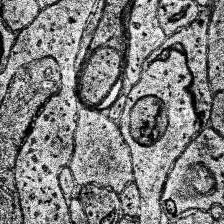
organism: Human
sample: Temporal Lobe